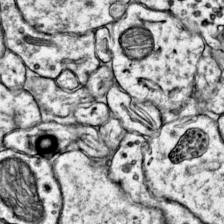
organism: Mouse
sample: Primary visual cortex